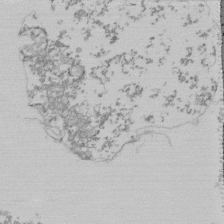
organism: Mouse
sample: Activated Pmel transgenic CD8+ T Cells